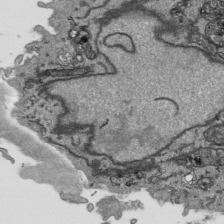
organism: Human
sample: Mitochondria in HCT116 cells